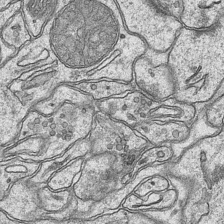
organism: Mouse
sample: CA1 Hippocampus